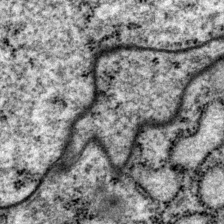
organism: P. pacificus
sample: Pharynx